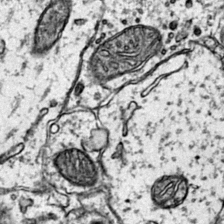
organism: Mouse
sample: Primary visual cortex